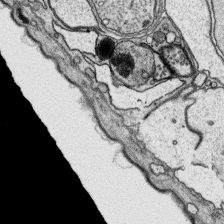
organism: Platynereis dumerilii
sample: Parapodia